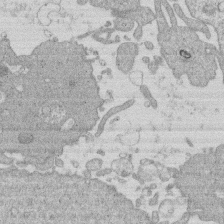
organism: Human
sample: Macrophage cells